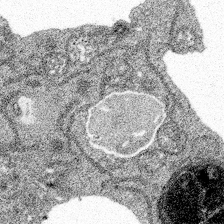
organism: Spongilla lacustris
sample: Multiple